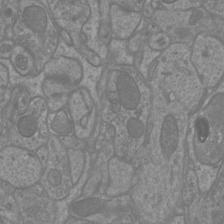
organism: Mouse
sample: Cortical neurons